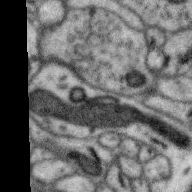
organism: Zebra finch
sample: Brain